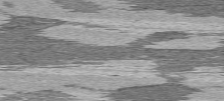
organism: C57BL Mouse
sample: Heart